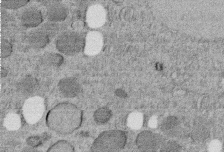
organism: C. elegans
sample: C. elegans embryo early stage